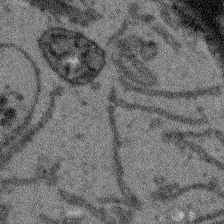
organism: Arabidopsis thaliana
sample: Root tip